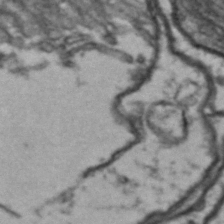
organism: Drosophila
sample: Brain